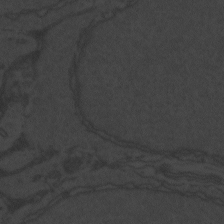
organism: Zebrafish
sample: Macrophage infected with Toxoplasma gondii